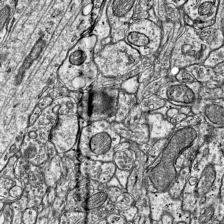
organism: Mouse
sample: Visual Cortex